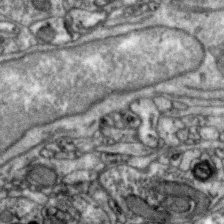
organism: Zebra finch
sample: Brain